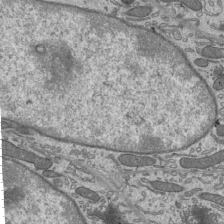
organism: Mouse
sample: Mouse epididymis efferent ductule cilia